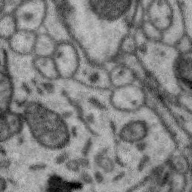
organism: Zebra finch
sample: Brain